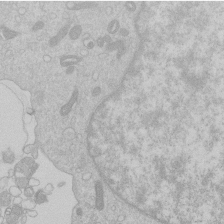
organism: Human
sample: Macrophage cells